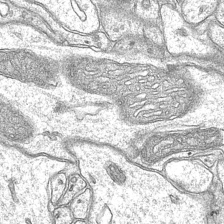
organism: Mouse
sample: CA1 Hippocampus